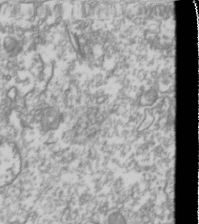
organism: Drosophila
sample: Cell division; meiosis; drosophila spermatocytes